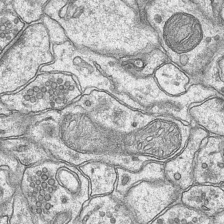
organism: Mouse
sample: CA1 Hippocampus